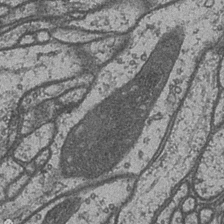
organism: Drosophila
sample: Optic medulla